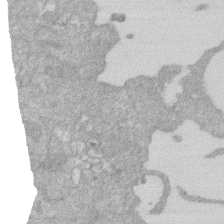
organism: Human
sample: HIV infected U937 cells